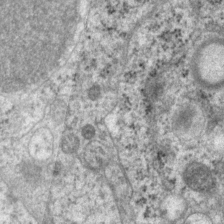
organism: P. pacificus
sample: Pharynx